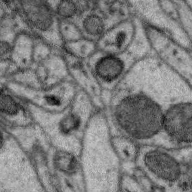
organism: Zebra finch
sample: Brain